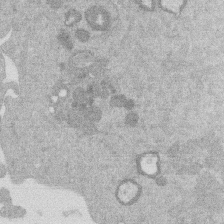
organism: Mouse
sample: Dividing mouse embryo 1 cell stage